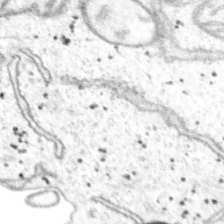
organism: Human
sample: HeLa cells